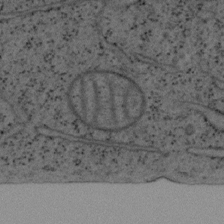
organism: Human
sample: HeLa cells